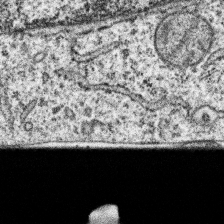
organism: Human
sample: HeLa cells